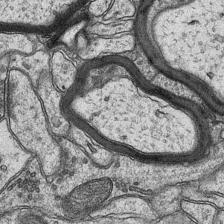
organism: Mouse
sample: CA1 Hippocampus